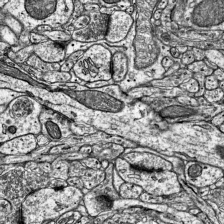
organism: Mouse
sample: Visual Cortex